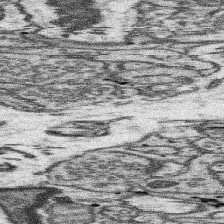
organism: Mouse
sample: Somatosensory cortex neuropil